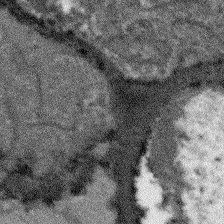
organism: Arabidopsis thaliana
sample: Root tip